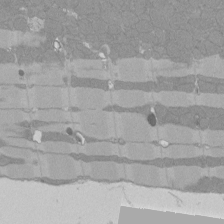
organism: Rat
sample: Left ventricle